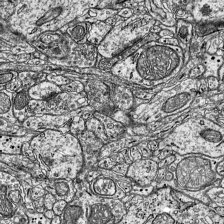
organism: Mouse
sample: Visual Cortex